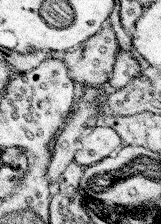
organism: Mouse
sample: Somatosensory cortex neuropil